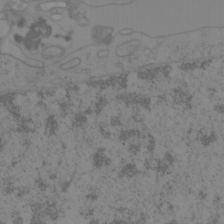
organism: Human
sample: HeLa cells